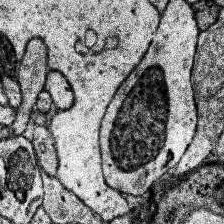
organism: Human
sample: Temporal Lobe